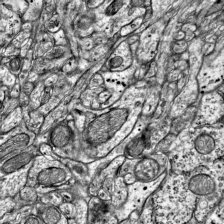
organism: Mouse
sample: Visual Cortex